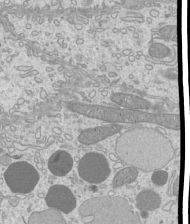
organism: Mouse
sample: Cilia; mouse epididymis